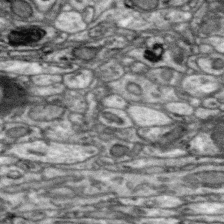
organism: Zebra finch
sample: Brain